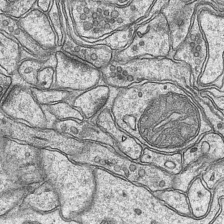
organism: Mouse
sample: CA1 Hippocampus